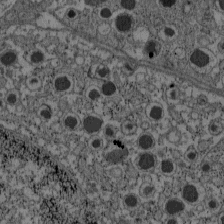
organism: C57BL Mouse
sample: Pancreatic islet